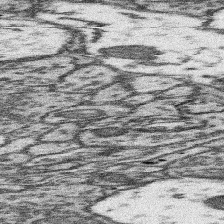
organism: Mouse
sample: Somatosensory cortex neuropil